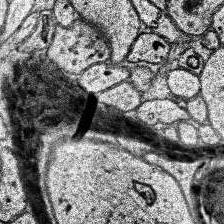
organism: Human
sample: Temporal Lobe